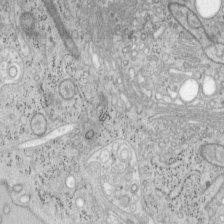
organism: Mouse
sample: OT-I killer T cells with ID8 ovarian cancer cells